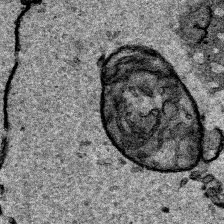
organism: Human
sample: Mitochondria in HCT116 cells